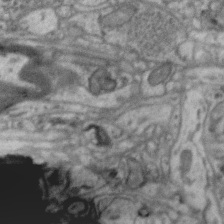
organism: Zebra finch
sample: Brain